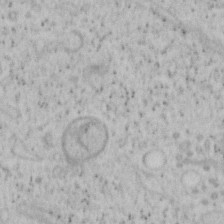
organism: Human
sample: HeLa cells